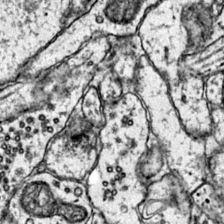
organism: Mouse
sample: Primary visual cortex